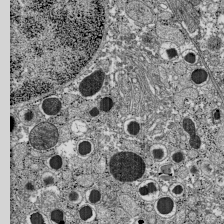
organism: C57BL Mouse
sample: Pancreatic islet